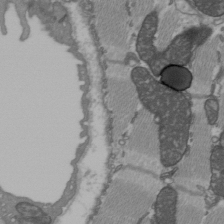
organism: C57BL Mouse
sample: Heart